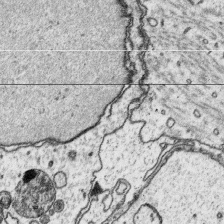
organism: Platynereis dumerilii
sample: Parapodia